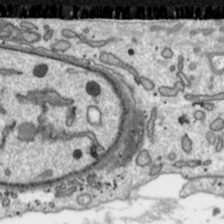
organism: Toxoplasma gondii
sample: Parasites in a vacuole inside a host cell